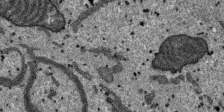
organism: Human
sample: Lung epithelial cells, uninfected (mock) control